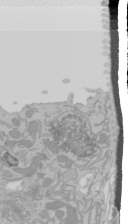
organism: Mouse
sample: Cancer cell death in ED-1 cells